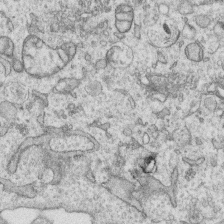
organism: Human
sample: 1205lu cells